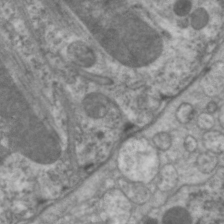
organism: C. elegans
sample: Pharynx